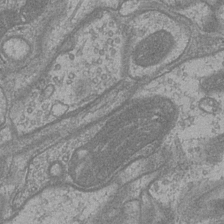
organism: Drosophila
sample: Optic medulla